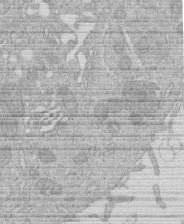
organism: Human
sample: Macrophage cells